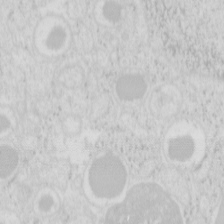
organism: Mouse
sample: Pancreas